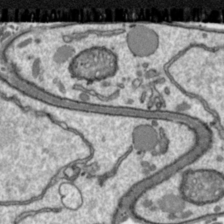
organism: Toxoplasma gondii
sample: Parasites in a vacuole inside a host cell